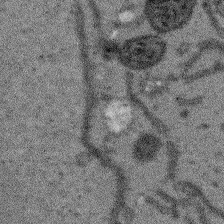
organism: Arabidopsis thaliana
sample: Root tip